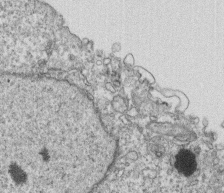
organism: Human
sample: HeLa cell HIV synapse